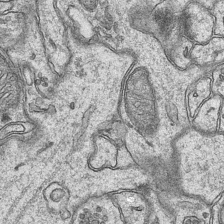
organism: Mouse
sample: CA1 Hippocampus